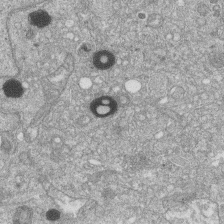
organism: Human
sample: HeLa cell HIV synapse